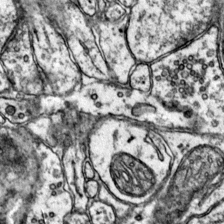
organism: Mouse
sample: Primary visual cortex